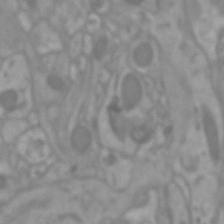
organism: Mouse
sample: Cortical neurons